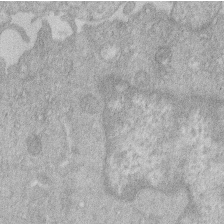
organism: Human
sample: Macrophage cells